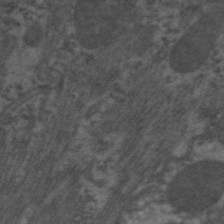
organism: C. elegans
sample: Pharynx